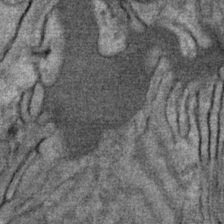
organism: Mouse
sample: Mouse Salivary gland